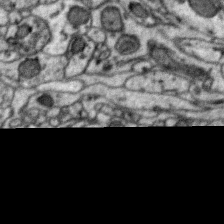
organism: Zebra finch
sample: Brain